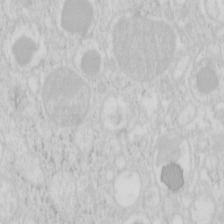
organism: Mouse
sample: Pancreas